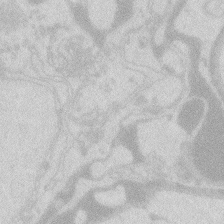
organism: Zebrafish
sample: Macrophage